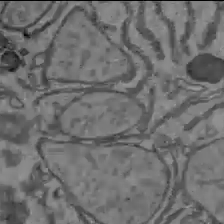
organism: C57BL Mouse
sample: Liver